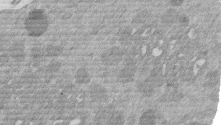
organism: Mouse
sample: Dividing mouse embryo 1 cell stage